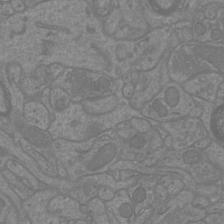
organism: Mouse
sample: Cortical neurons